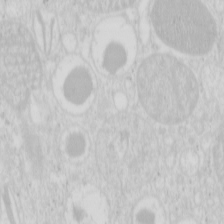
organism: Mouse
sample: Pancreas